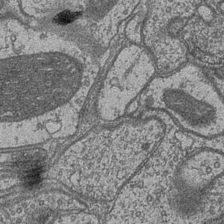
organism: Drosophila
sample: Optic medulla